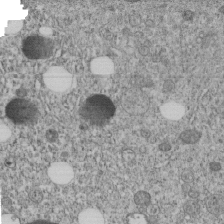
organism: C. elegans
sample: C. elegans embryo early stage